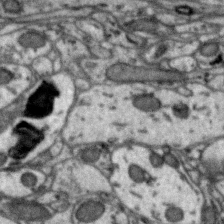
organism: Zebra finch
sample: Brain